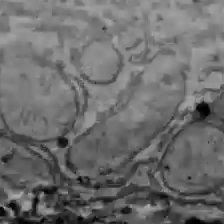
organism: C57BL Mouse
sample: Liver